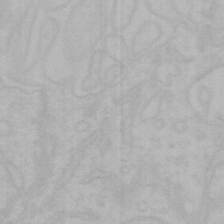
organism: Mouse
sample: Choroid plexus